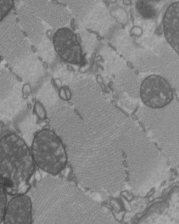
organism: C57BL Mouse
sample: Heart